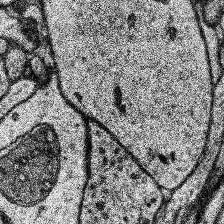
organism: Human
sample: Temporal Lobe